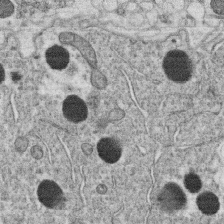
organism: C. elegans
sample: C. elegans oocyte; sperm cells